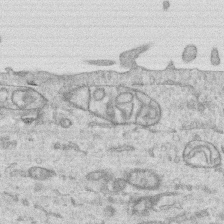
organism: Human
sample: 1205lu cells